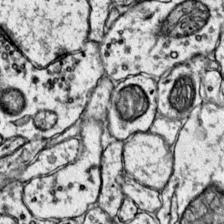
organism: Mouse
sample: Primary visual cortex